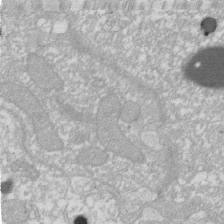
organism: Xenopus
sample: Cilia; centrioles in frog embryo cells